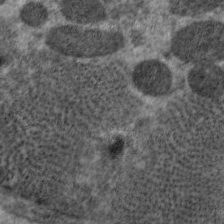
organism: C. elegans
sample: Pharynx